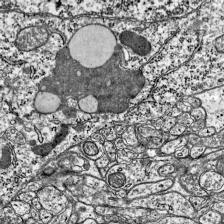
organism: Mouse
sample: Visual Cortex